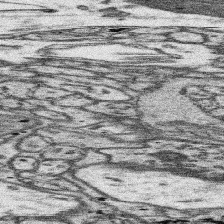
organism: Mouse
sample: Somatosensory cortex neuropil